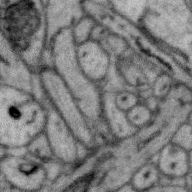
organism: Zebra finch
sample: Brain